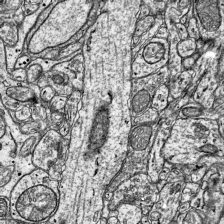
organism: Mouse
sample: Visual Cortex